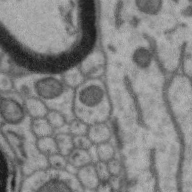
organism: Zebra finch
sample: Brain